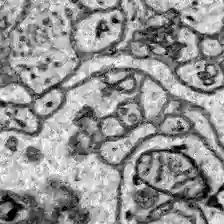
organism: Zebrafish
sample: Brain